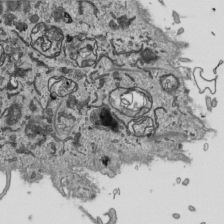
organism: Human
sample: Mitochondria in HCT116 cells